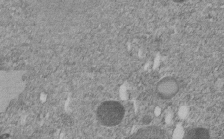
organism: C. elegans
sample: C. elegans embryo early stage